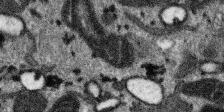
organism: Human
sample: Lung epithelial cells infected with SARS-CoV-2